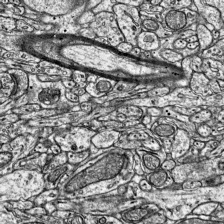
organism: Mouse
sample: Visual Cortex